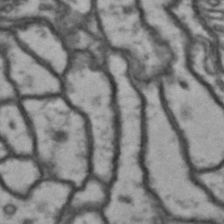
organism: Drosophila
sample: Brain